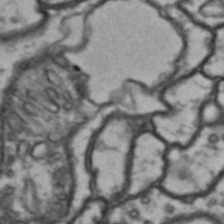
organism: Drosophila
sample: Brain